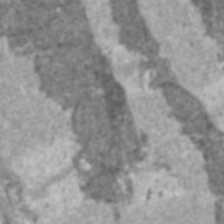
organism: C57BL Mouse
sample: Heart